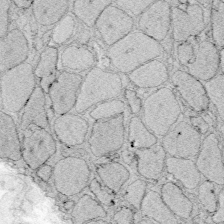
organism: Zebrafish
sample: Whole-Brain